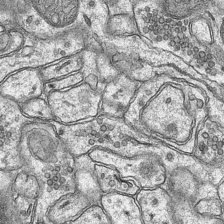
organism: Mouse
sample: CA1 Hippocampus